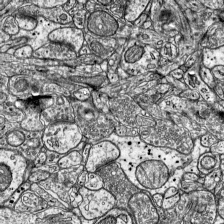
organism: Mouse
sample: Visual Cortex